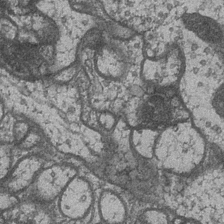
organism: Drosophila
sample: Optic medulla